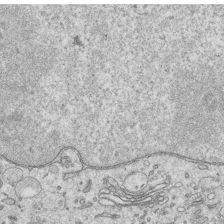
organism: Human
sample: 1205lu cells